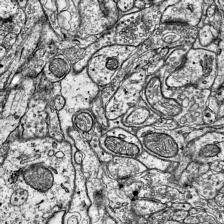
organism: Mouse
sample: Visual Cortex